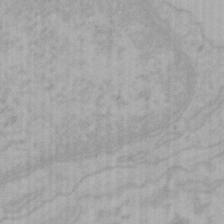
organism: Mouse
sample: Choroid plexus